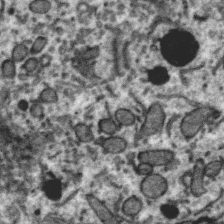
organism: Zebra finch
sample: Brain